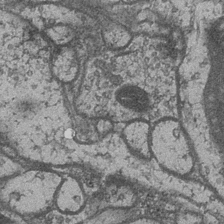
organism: Drosophila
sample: Optic medulla